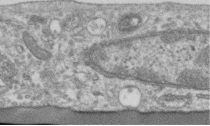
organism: Human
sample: Centriole in RPE cells